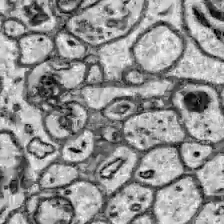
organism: Zebrafish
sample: Brain